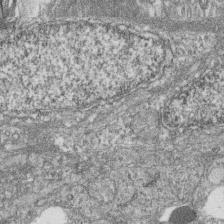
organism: Zebrafish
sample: Cilia; retinal pigment epithelium